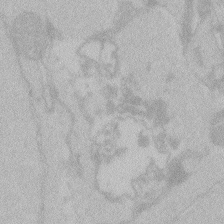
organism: Zebrafish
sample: Macrophage infected with Toxoplasma gondii